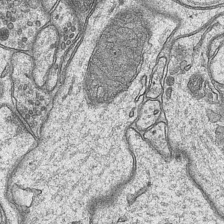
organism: Mouse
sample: CA1 Hippocampus